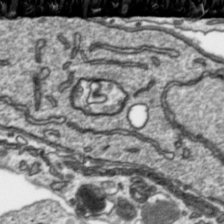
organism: Toxoplasma gondii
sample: Parasites in a vacuole inside a host cell